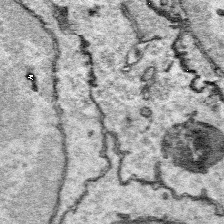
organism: Platynereis dumerilii